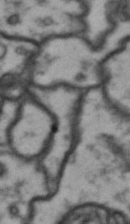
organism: Drosophila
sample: Brain